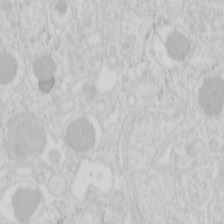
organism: Mouse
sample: Pancreas